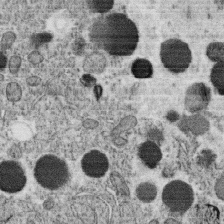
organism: C. elegans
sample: C. elegans oocyte; sperm cells